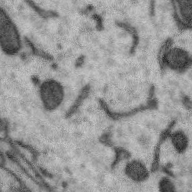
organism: Zebra finch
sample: Brain